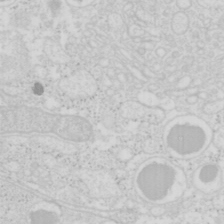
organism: Mouse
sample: Pancreas